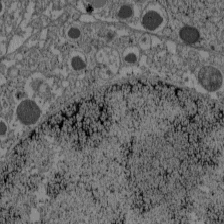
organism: C57BL Mouse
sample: Pancreatic islet